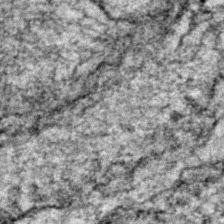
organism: Zebrafish